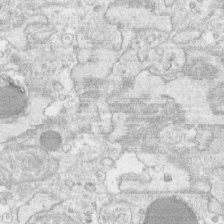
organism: Human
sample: CRL-1474